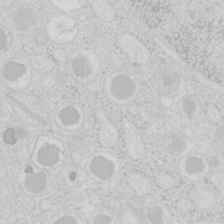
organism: Mouse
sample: Pancreas